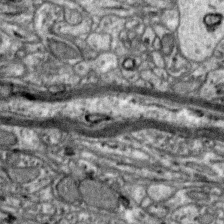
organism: Zebra finch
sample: Brain